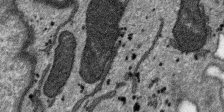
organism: Human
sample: Lung epithelial cells, uninfected (mock) control